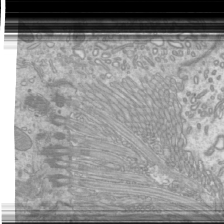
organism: Mouse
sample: Cilia; mouse epididymis